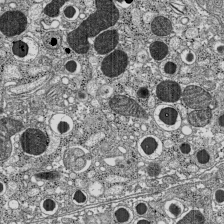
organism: C57BL Mouse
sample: Pancreatic islet